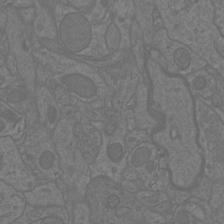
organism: Mouse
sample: Cortical neurons